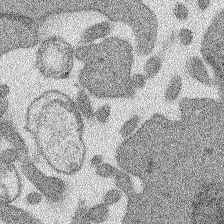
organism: Human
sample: HeLa cells